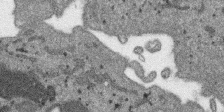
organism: Human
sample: Lung epithelial cells infected with SARS-CoV-2